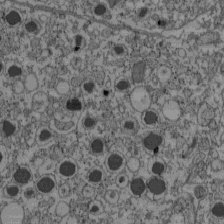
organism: C57BL Mouse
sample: Pancreatic islet